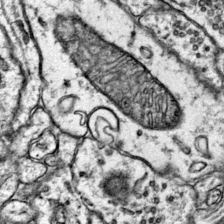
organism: Mouse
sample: Primary visual cortex